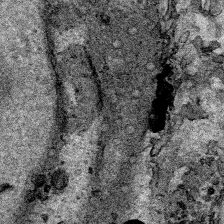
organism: Human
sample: Mitochondria in HCT116 cells